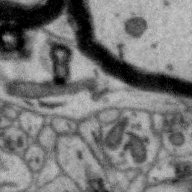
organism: Zebra finch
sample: Brain